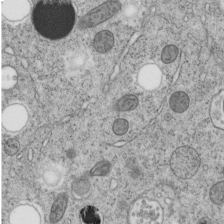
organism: C. elegans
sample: C. elegans embryo early stage